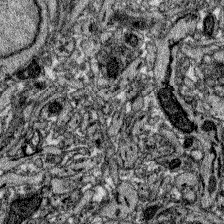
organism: Zebrafish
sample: Larval olfactory bulb